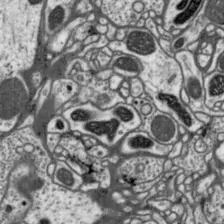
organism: Drosophila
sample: Protocerebral bridge